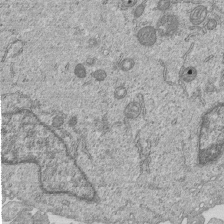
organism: Human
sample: MDA-MB-231 cells